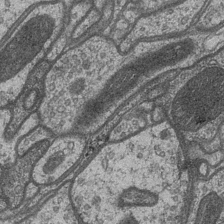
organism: Drosophila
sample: Optic medulla